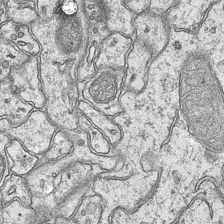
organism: Mouse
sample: CA1 Hippocampus